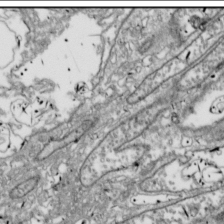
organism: Drosophila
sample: Cell division; meiosis; drosophila spermatocytes